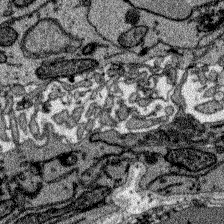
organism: Zebrafish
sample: Larval olfactory bulb